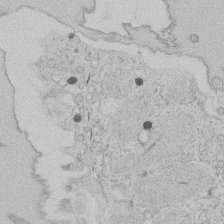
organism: Tetrahymena